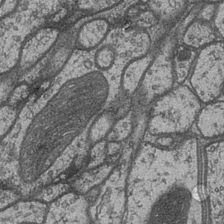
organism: Drosophila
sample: Optic medulla